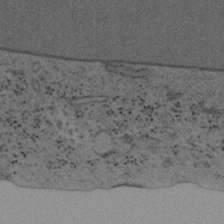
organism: Human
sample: HeLa cells